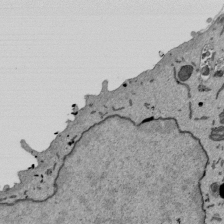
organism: Mouse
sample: ED-1 cell nuclei; centrioles